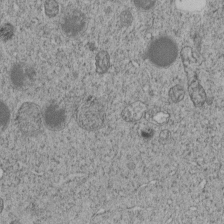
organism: C. elegans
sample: C. elegans embryo early stage